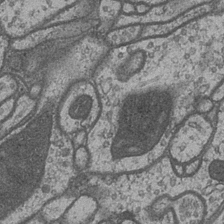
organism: Drosophila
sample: Optic medulla